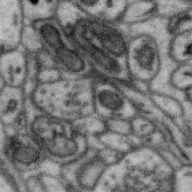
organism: Zebra finch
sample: Brain